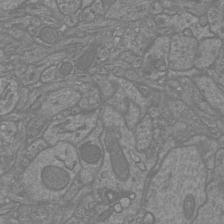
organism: Mouse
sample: Cortical neurons